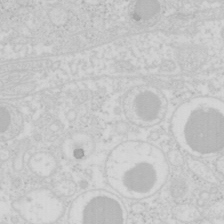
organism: Mouse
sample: Pancreas